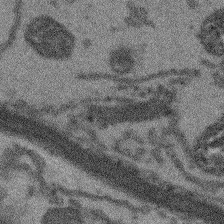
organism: Arabidopsis thaliana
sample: Root tip